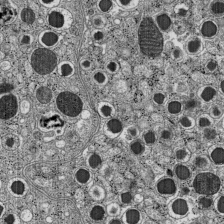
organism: C57BL Mouse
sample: Pancreatic islet